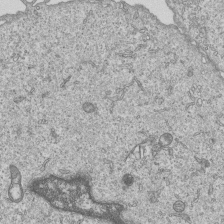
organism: Human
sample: MDA-MB-231 cells